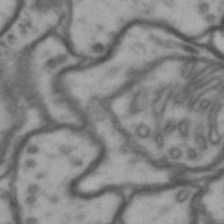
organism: Drosophila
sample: Brain